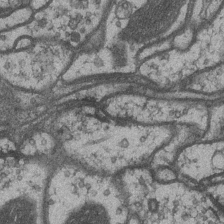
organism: Drosophila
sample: Optic medulla